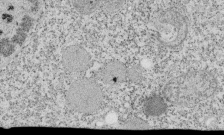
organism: Tetrahymena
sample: Cilia in tetrahymena